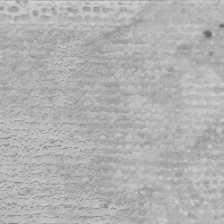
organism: Human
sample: Mitochondria in U2OS cells